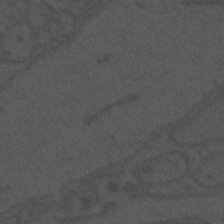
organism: Mouse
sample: Suprachiasmatic nucleus